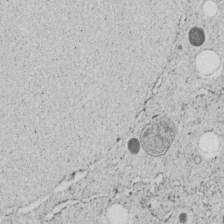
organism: C. elegans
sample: C. elegans embryo early stage